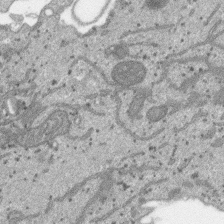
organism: Human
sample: Lung epithelial cells infected with SARS-CoV-2